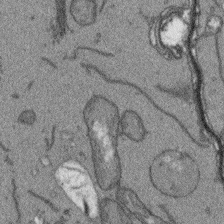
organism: Arabidopsis thaliana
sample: Root tip